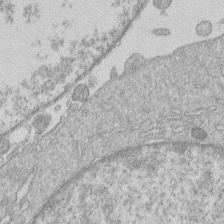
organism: Human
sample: Macrophage cells